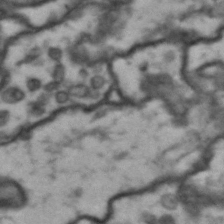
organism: Drosophila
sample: Brain